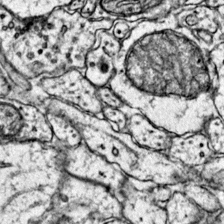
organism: Mouse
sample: Primary visual cortex